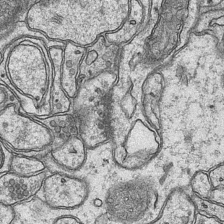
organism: Mouse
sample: CA1 Hippocampus